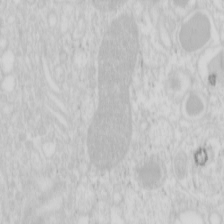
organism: Mouse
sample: Pancreas